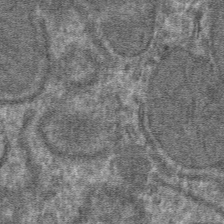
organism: Mouse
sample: Mouse hepatocytes